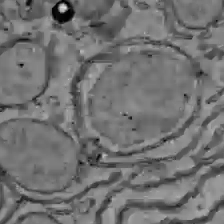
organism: C57BL Mouse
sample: Liver